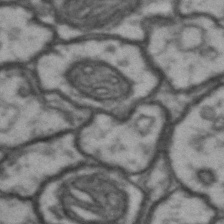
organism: Drosophila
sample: Brain